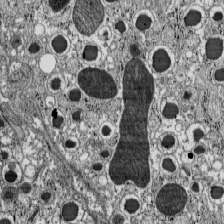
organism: C57BL Mouse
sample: Pancreatic islet